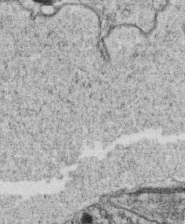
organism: C. elegans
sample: C. elegans oocyte; sperm cells